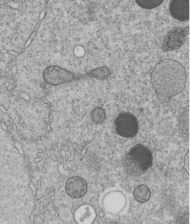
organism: C. elegans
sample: C. elegans embryo early stage